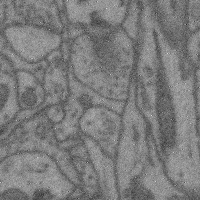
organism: Mouse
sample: Cerebral cortex